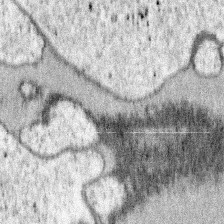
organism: Human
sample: HeLa cells